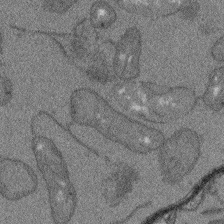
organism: Arabidopsis thaliana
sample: Root tip